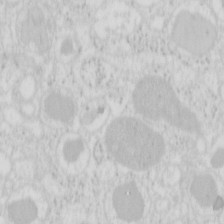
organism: Mouse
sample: Pancreas